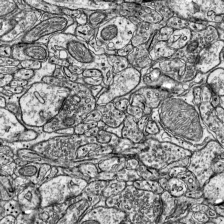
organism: Mouse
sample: Visual Cortex